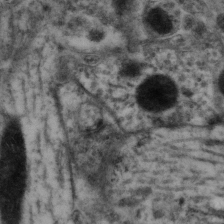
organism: Mouse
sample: Neocortex